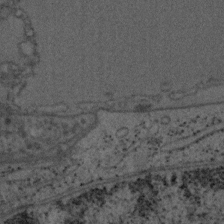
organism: Human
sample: HeLa cells